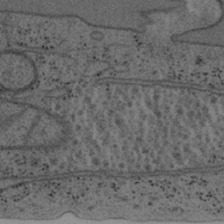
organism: Human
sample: HeLa cells